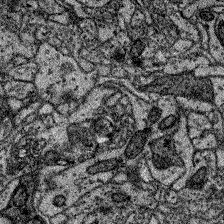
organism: Zebrafish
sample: Larval olfactory bulb